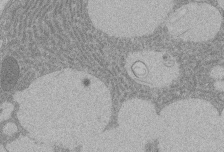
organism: Rat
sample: Salivary granule